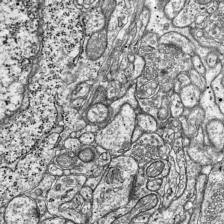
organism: Mouse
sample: Visual Cortex